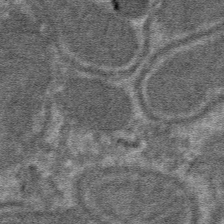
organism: Mouse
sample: Mouse hepatocytes